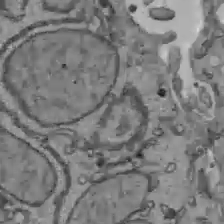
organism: C57BL Mouse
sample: Liver